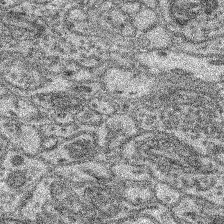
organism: Mouse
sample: Retina